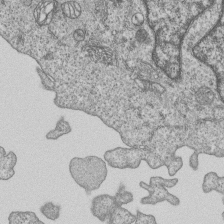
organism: Human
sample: MDA-MB-231 cells